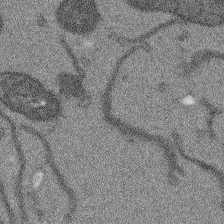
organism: Arabidopsis thaliana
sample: Root tip